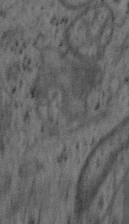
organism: Human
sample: HeLa cells